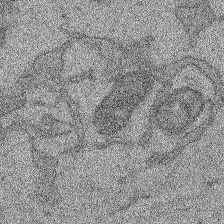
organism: Human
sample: HeLa cells